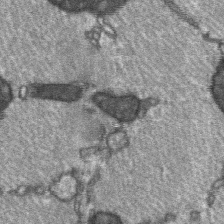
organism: C57BL Mouse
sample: Soleus